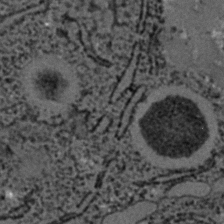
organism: C. elegans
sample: C. elegans embryo